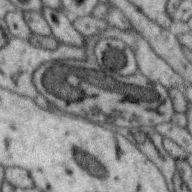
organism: Zebra finch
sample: Brain